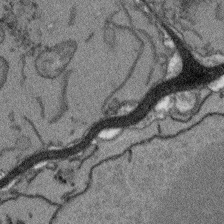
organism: Arabidopsis thaliana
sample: Root tip